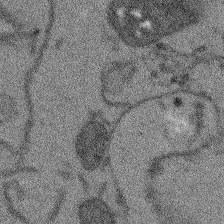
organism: Arabidopsis thaliana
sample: Root tip